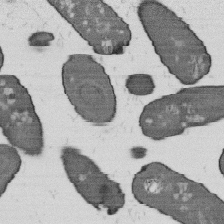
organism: B. subtilis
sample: Bacterial spore